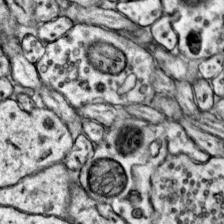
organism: Mouse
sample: Primary visual cortex